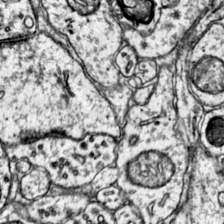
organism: Mouse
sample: Primary visual cortex